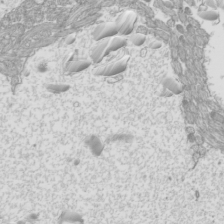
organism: Mouse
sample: Cilia; mouse epididymis